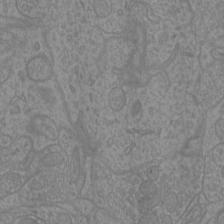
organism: Mouse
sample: Cortical neurons